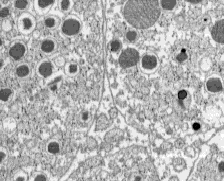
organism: C57BL Mouse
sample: Pancreatic islet